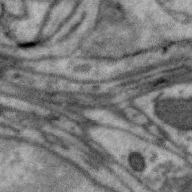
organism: Zebra finch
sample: Brain